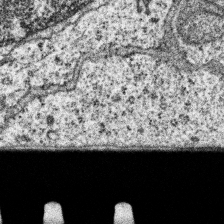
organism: Human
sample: HeLa cells